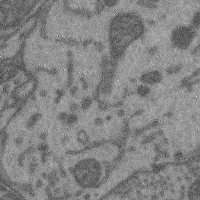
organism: Mouse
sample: Cerebral cortex